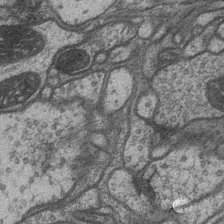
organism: Drosophila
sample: Optic medulla